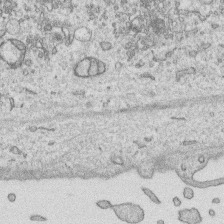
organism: Human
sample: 1205lu cells